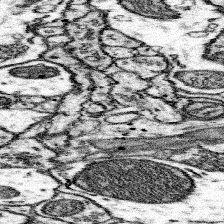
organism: Mouse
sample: Somatosensory cortex neuropil